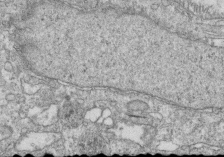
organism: Human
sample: HeLa cell HIV synapse